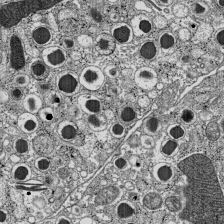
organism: C57BL Mouse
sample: Pancreatic islet